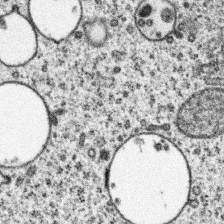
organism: Human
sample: HeLa cells